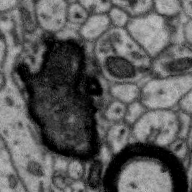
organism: Zebra finch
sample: Brain